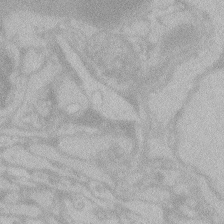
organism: Zebrafish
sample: Macrophage infected with Toxoplasma gondii